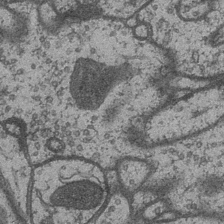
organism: Drosophila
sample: Optic medulla